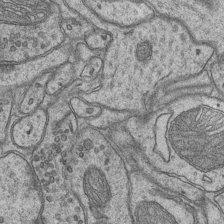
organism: Mouse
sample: CA1 Hippocampus